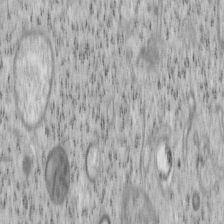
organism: Human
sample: HeLa cells